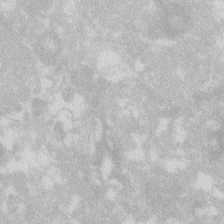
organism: Zebrafish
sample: Macrophage